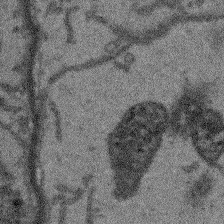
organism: Arabidopsis thaliana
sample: Root tip